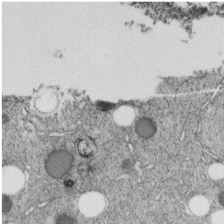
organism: C. elegans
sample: C. elegans embryo early stage